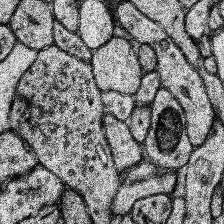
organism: Human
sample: Temporal Lobe